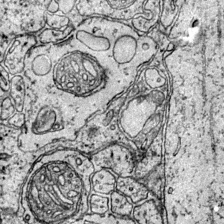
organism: Mouse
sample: Primary visual cortex